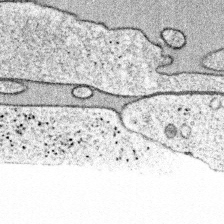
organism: Human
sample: HeLa cells